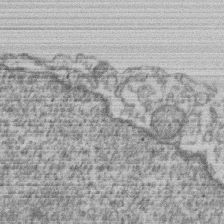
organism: Mouse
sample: T cell stromal cell synapse